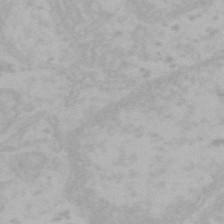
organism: Mouse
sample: Choroid plexus